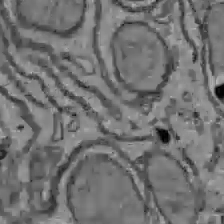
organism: C57BL Mouse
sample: Liver